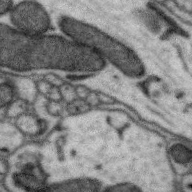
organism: Zebra finch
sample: Brain